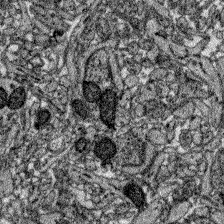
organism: Zebrafish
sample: Larval olfactory bulb